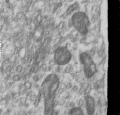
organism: Human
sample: Centriole in RPE cells